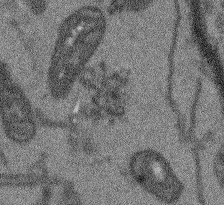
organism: Arabidopsis thaliana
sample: Root tip